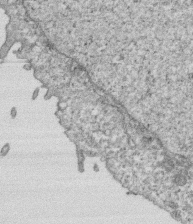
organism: Human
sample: HeLa cell HIV synapse